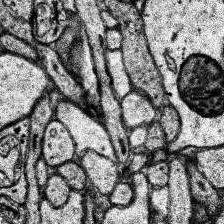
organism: Human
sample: Temporal Lobe